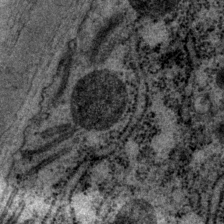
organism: P. pacificus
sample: Pharynx